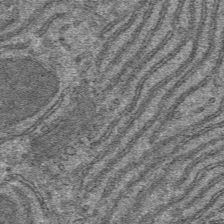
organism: Mouse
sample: Mouse hepatocytes